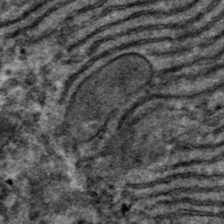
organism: Mouse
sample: Mouse hepatocytes